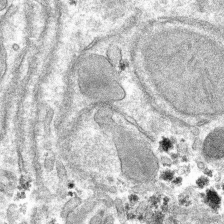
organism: Mouse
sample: Mouse hepatocytes